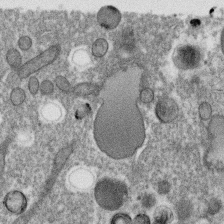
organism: C. elegans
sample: C. elegans oocyte; sperm cells